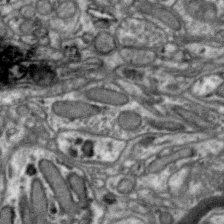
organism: Zebra finch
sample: Brain